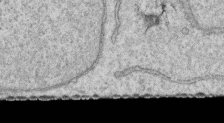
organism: Human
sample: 1205lu cells